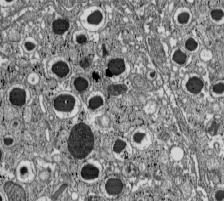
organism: C57BL Mouse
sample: Pancreatic islet